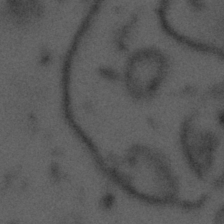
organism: Tuwongella immobilis